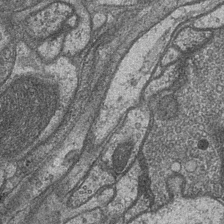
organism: Drosophila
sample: Optic medulla